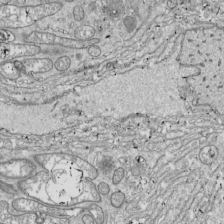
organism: Drosophila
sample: Cell division; meiosis; drosophila spermatocytes